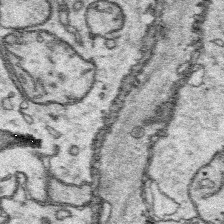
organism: Platynereis dumerilii